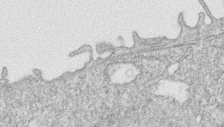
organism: Human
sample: HeLa cell HIV synapse